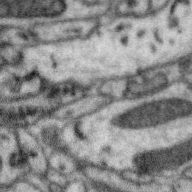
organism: Zebra finch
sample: Brain